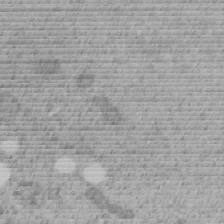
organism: C. elegans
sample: C. elegans embryo early stage